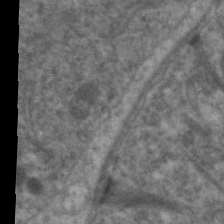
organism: C. elegans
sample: Pharynx